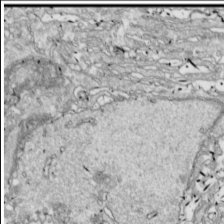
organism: Drosophila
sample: Cell division; meiosis; drosophila spermatocytes